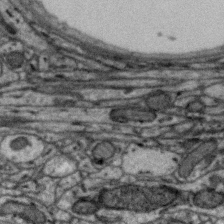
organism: Zebra finch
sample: Brain